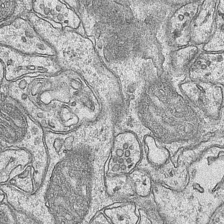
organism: Mouse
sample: CA1 Hippocampus